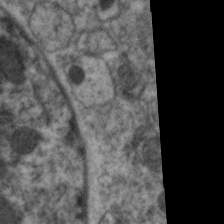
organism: C. elegans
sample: Pharynx